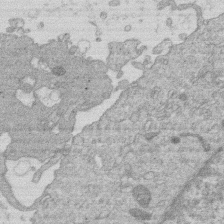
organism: Human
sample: Macrophage cells